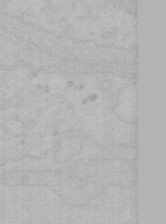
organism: Mouse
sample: Choroid plexus